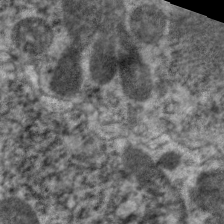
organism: C. elegans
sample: Pharynx